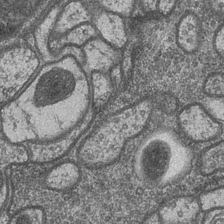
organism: Drosophila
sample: Optic medulla